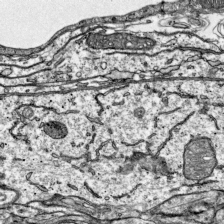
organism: Mouse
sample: Visual Cortex